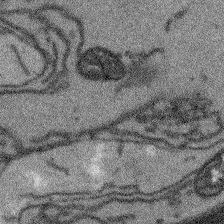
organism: Arabidopsis thaliana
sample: Root tip